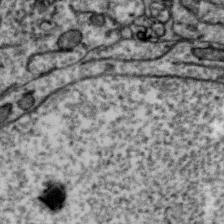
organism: Zebra finch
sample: Brain